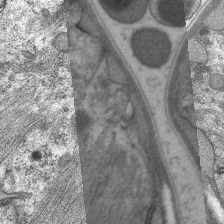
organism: C. elegans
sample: Pharynx